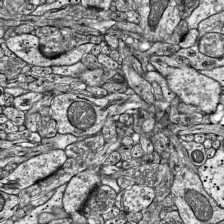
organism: Mouse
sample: Visual Cortex